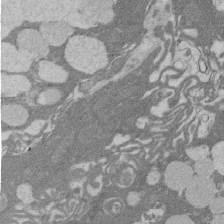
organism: Rat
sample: Salivary granule